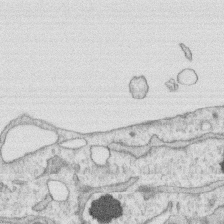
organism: Human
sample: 1205lu cells